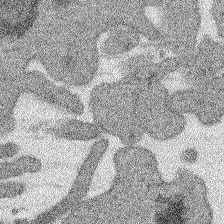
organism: Human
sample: HeLa cells